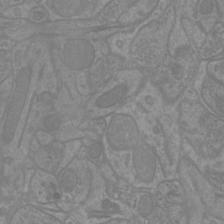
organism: Mouse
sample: Cortical neurons